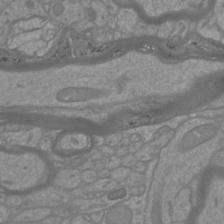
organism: Mouse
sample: Cortical neurons